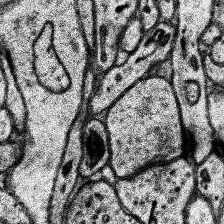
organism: Human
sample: Temporal Lobe